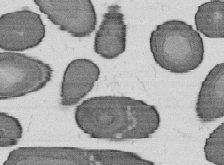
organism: B. subtilis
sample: Bacterial spore